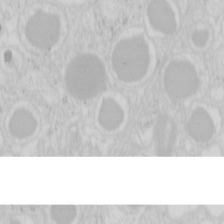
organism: Mouse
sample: Pancreas